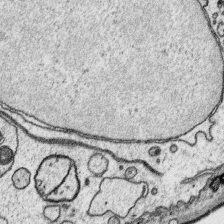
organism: Platynereis dumerilii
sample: Parapodia